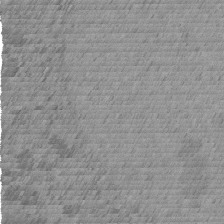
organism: C. elegans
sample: C. elegans embryo early stage